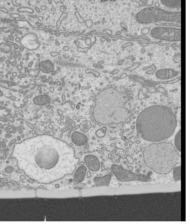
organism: Mouse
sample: Cilia; mouse epididymis